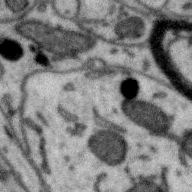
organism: Zebra finch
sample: Brain